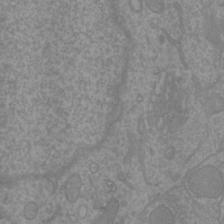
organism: Mouse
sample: Cortical neurons